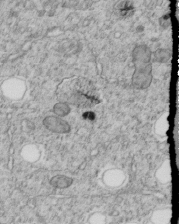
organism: C. elegans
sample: C. elegans embryo early stage